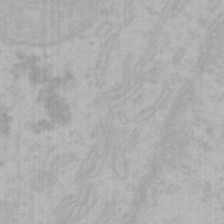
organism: Mouse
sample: Choroid plexus